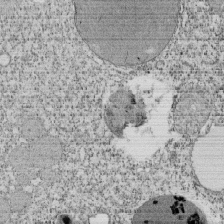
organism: Tetrahymena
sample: Cilia in tetrahymena